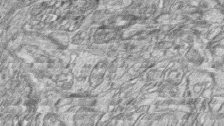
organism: Zebrafish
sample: synaptic ribbons in rod cells and cone cells